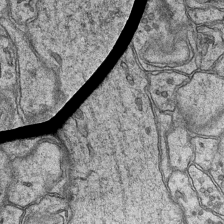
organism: Mouse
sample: CA1 Hippocampus